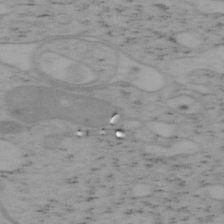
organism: Mouse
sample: OT-I killer T cells with ID8 ovarian cancer cells